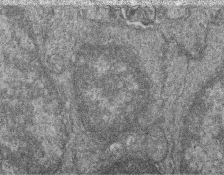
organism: Zebrafish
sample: Cilia; retinal pigment epithelium